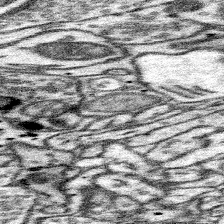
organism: Mouse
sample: Somatosensory cortex neuropil